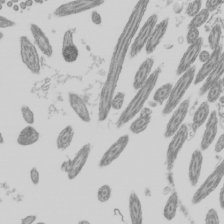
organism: Mouse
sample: Cilia; mouse epididymis